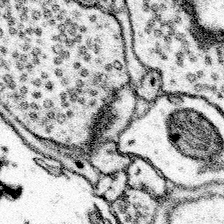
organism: Mouse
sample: Somatosensory cortex neuropil